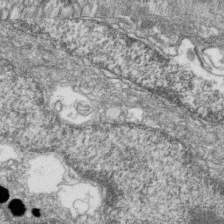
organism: Zebrafish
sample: Cilia; retinal pigment epithelium